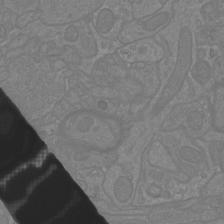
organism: Mouse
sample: Cortical neurons